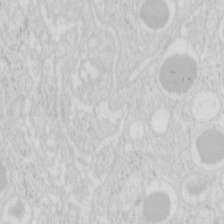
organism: Mouse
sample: Pancreas